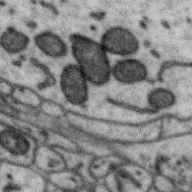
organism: Zebra finch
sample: Brain